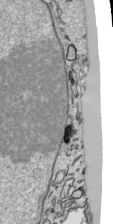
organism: Human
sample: Mitochondria in HCT116 cells